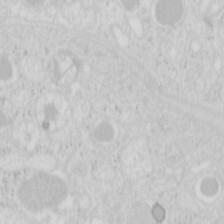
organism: Mouse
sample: Pancreas